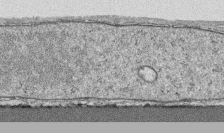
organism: Human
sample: CRL-1474